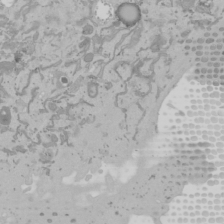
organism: Mouse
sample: Cancer cell death in ED-1 cells